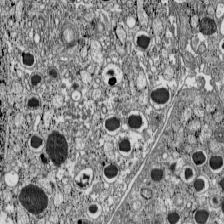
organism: C57BL Mouse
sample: Pancreatic islet